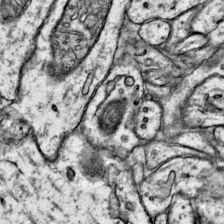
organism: Mouse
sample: Primary visual cortex